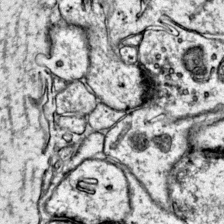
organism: Mouse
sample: Primary visual cortex